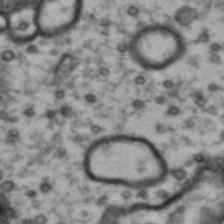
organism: Drosophila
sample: Brain